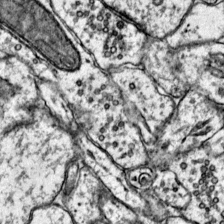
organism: Mouse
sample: Primary visual cortex